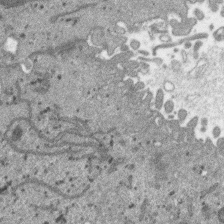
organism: Human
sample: Lung epithelial cells infected with SARS-CoV-2